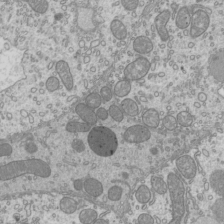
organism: Mouse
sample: Cilia; mouse epididymis